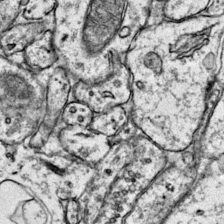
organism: Mouse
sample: Primary visual cortex